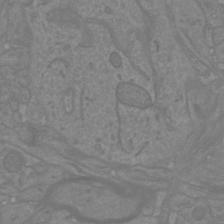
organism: Mouse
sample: Cortical neurons